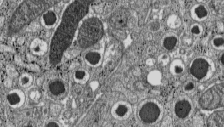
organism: C57BL Mouse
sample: Pancreatic islet